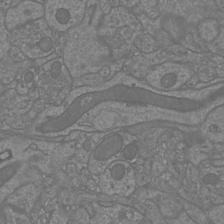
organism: Mouse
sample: Cortical neurons